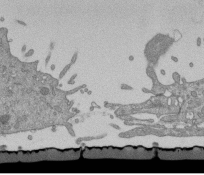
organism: Mouse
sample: ED-1 cell nuclei; centrioles